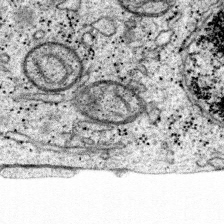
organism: Human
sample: HeLa cells